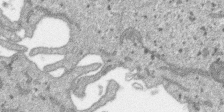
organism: Human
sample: Lung epithelial cells infected with SARS-CoV-2